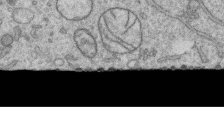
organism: Human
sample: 1205lu cells